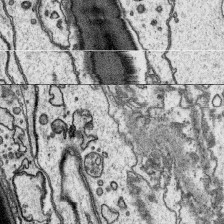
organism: Platynereis dumerilii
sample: Parapodia